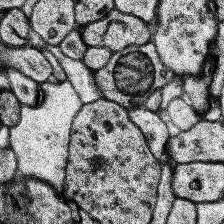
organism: Human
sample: Temporal Lobe